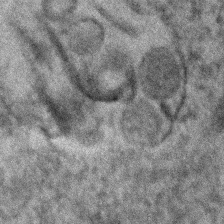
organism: Human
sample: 1205lu cells